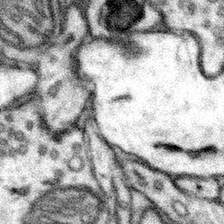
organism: Mouse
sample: Somatosensory cortex neuropil